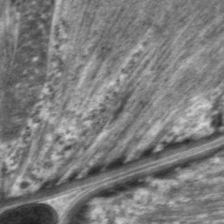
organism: C. elegans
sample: Pharynx